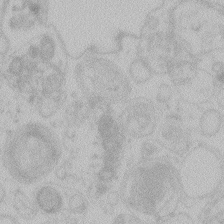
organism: Zebrafish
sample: Macrophage infected with Toxoplasma gondii